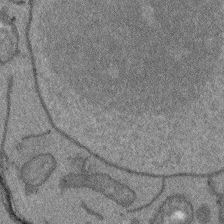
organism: Arabidopsis thaliana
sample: Root tip